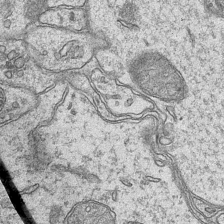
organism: Mouse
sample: CA1 Hippocampus